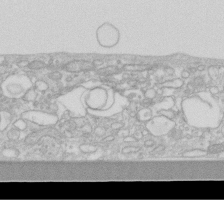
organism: Human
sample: Fibroblast cells